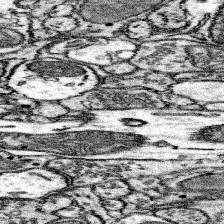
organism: Mouse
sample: Somatosensory cortex neuropil